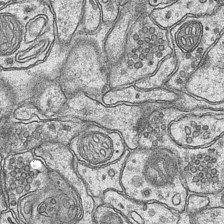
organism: Mouse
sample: CA1 Hippocampus